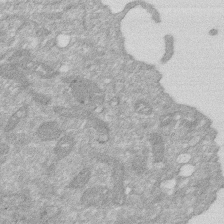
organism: Human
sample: HIV infected U937 cells